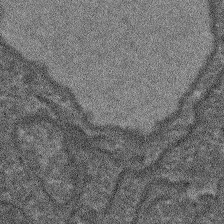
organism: Arabidopsis thaliana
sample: Root tip